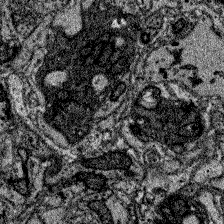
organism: Zebrafish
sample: Larval olfactory bulb